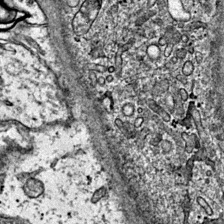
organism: Mouse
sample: Primary visual cortex